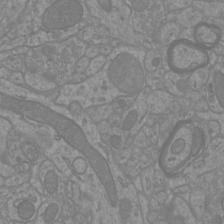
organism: Mouse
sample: Cortical neurons